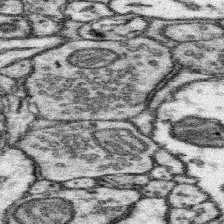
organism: Mouse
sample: Somatosensory cortex neuropil